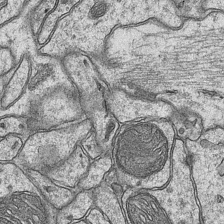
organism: Mouse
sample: CA1 Hippocampus